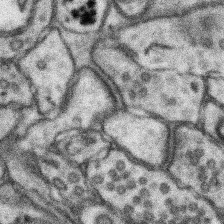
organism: Mouse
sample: Somatosensory cortex neuropil